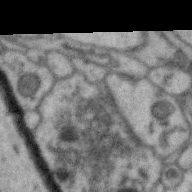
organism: Zebra finch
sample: Brain